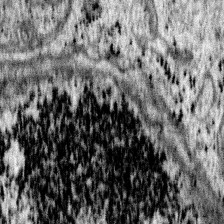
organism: Human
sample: HeLa cells